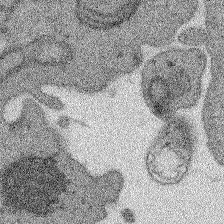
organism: Human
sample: HeLa cells